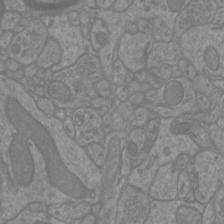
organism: Mouse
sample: Cortical neurons